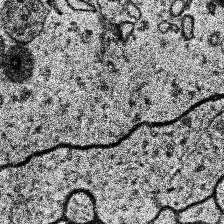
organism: Human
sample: Temporal Lobe